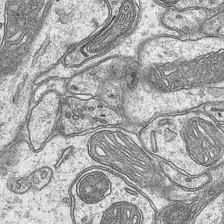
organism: Mouse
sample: CA1 Hippocampus